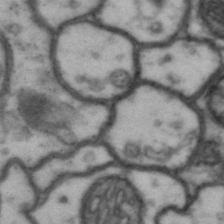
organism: Drosophila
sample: Brain